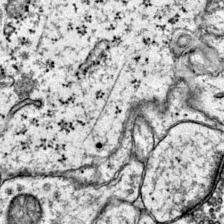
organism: Mouse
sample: Primary visual cortex